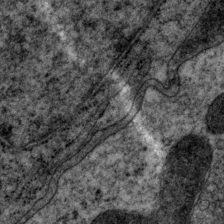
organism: P. pacificus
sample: Pharynx